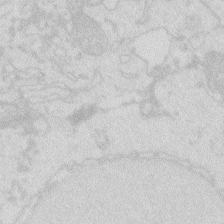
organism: Zebrafish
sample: Macrophage